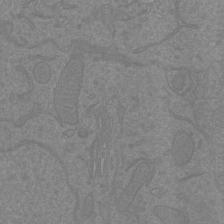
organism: Mouse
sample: Cortical neurons